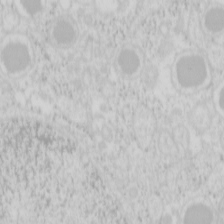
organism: Mouse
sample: Pancreas